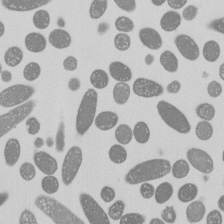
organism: E. coli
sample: Bacterial nucleoid